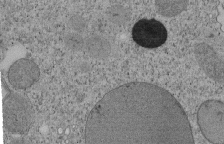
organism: Tetrahymena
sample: Cilia in tetrahymena